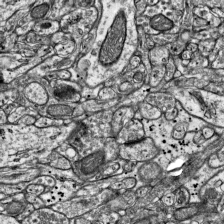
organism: Mouse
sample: Visual Cortex